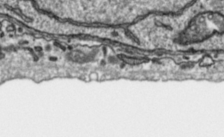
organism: Toxoplasma gondii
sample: Parasites in a vacuole inside a host cell